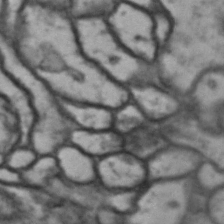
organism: Drosophila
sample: Brain